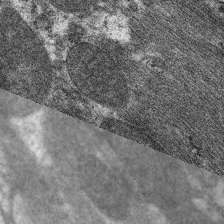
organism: C. elegans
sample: Pharynx